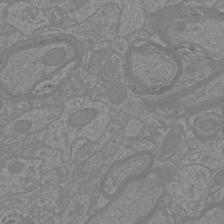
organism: Mouse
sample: Cortical neurons